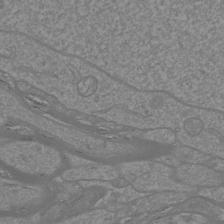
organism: Mouse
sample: Cortical neurons